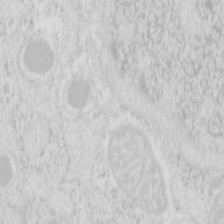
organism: Mouse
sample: Pancreas